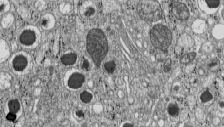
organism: C57BL Mouse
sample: Pancreatic islet